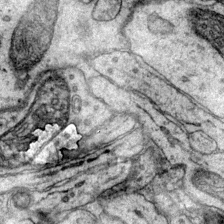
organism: Mouse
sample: Primary visual cortex